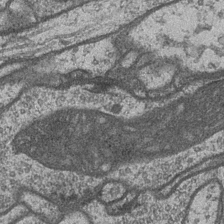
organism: Drosophila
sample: Optic medulla